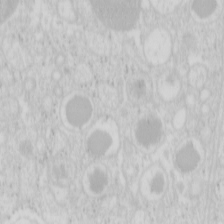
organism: Mouse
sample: Pancreas